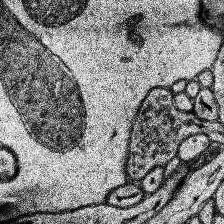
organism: Human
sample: Temporal Lobe